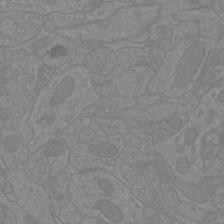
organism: Mouse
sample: Cortical neurons